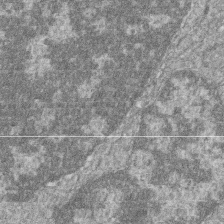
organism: Zebrafish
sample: Cilia; retinal pigment epithelium